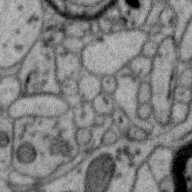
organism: Zebra finch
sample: Brain